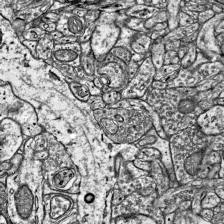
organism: Mouse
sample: Visual Cortex